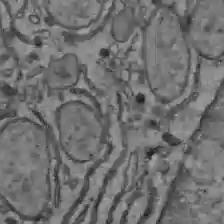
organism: C57BL Mouse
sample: Liver